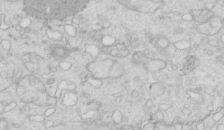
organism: Mouse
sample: Multiciliated cells